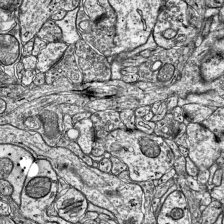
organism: Mouse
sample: Visual Cortex